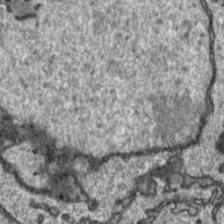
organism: Toxoplasma gondii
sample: Parasites in a vacuole inside a host cell